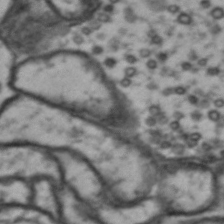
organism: Drosophila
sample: Brain